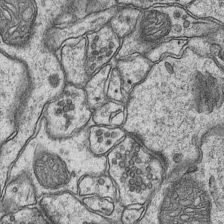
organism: Mouse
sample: CA1 Hippocampus